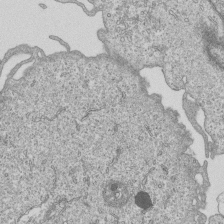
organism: Human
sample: MDA-MB-231 cells